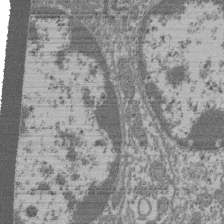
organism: Mouse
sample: Glomerulus